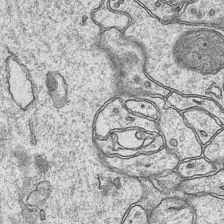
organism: Mouse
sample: CA1 Hippocampus